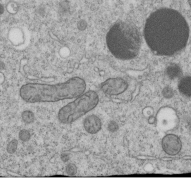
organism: C. elegans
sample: C. elegans embryo early stage